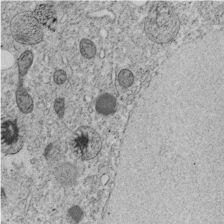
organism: C. elegans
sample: C. elegans embryo early stage